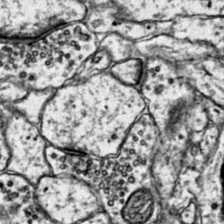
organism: Mouse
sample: Primary visual cortex